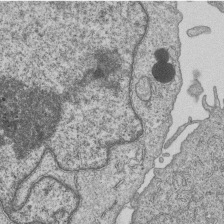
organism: Human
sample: MDA-MB-231 cells